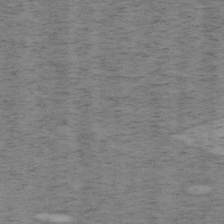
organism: Mouse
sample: OT-I killer T cells with ID8 ovarian cancer cells